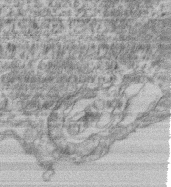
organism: Mouse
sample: T cell stromal cell synapse